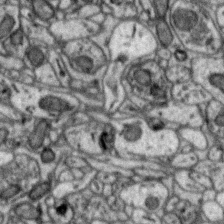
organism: Zebra finch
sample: Brain